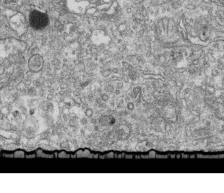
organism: Human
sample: HeLa cell HIV synapse